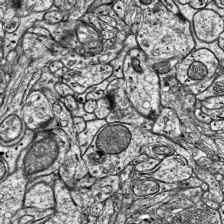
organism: Mouse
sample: Visual Cortex